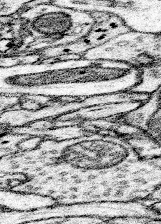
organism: Mouse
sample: Somatosensory cortex neuropil